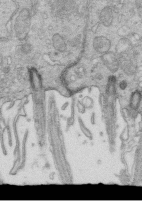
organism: Mouse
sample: Multiciliated cells